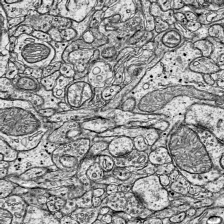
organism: Mouse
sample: Visual Cortex